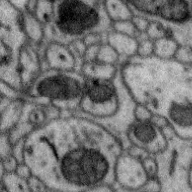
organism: Zebra finch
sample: Brain